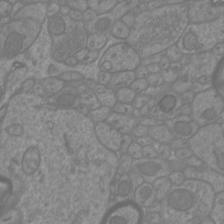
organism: Mouse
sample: Cortical neurons